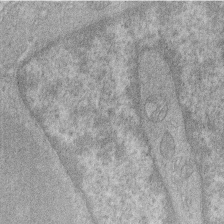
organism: Human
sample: Macrophage cells